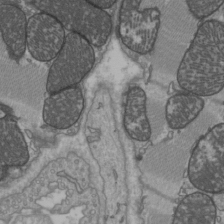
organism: C57BL Mouse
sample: Heart